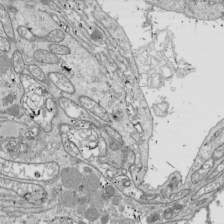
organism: Drosophila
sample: Cell division; meiosis; drosophila spermatocytes